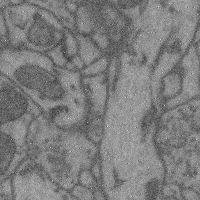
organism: Mouse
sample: Cerebral cortex